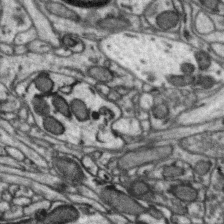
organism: Zebra finch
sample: Brain